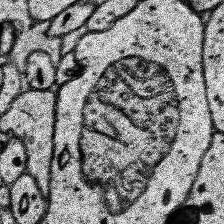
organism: Human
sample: Temporal Lobe